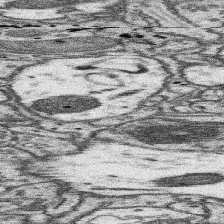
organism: Mouse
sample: Somatosensory cortex neuropil